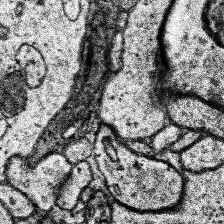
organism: Human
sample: Temporal Lobe